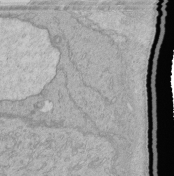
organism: Human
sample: Retinal organoid Rod and Cone cells